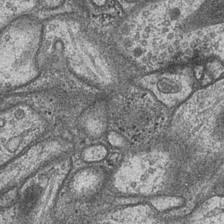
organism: Drosophila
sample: Optic medulla